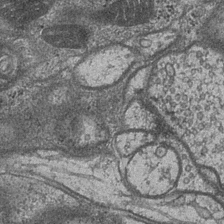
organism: Drosophila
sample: Optic medulla